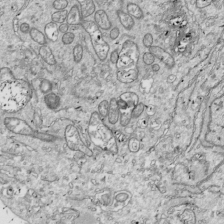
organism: Drosophila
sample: Cell division; meiosis; drosophila spermatocytes